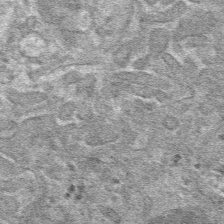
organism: Mouse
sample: Mouse hepatocytes